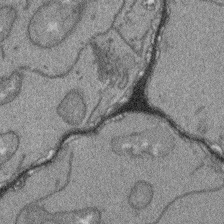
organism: Arabidopsis thaliana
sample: Root tip